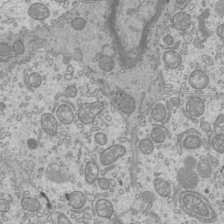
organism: Mouse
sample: Cilia; mouse epididymis